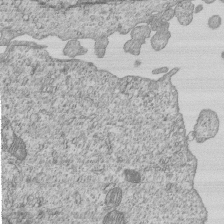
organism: Human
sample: MDA-MB-231 cells